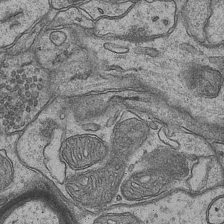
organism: Mouse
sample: CA1 Hippocampus